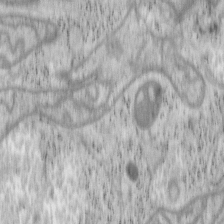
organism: Human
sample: HeLa cells